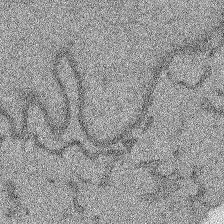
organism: Human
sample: HeLa cells